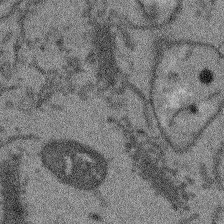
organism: Arabidopsis thaliana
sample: Root tip